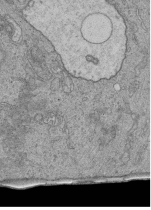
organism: Human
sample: Retinal organoid Rod and Cone cells